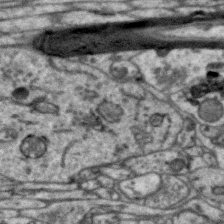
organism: Zebra finch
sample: Brain